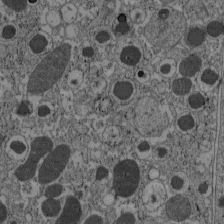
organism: C57BL Mouse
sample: Pancreatic islet